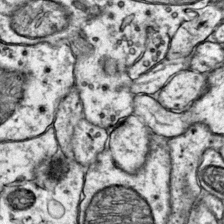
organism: Mouse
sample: Primary visual cortex